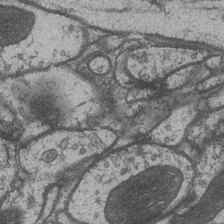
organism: Drosophila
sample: Optic medulla